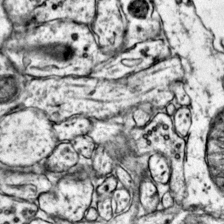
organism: Mouse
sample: Primary visual cortex